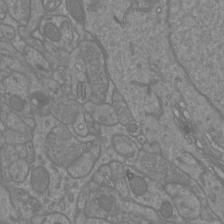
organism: Mouse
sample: Cortical neurons